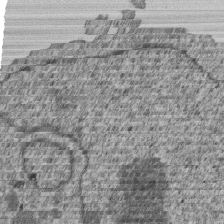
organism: Human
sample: MDA-MB-231 cells